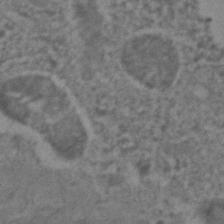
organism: C. elegans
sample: C. elegans embryo